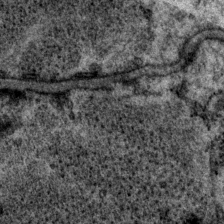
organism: P. pacificus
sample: Pharynx